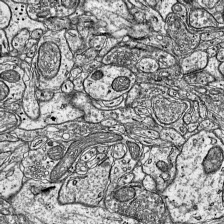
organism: Mouse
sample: Visual Cortex